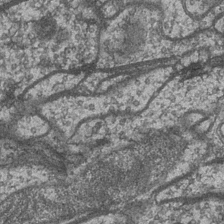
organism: Drosophila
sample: Optic medulla